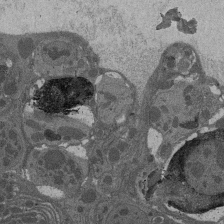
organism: Drosophila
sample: Antenna